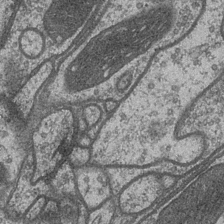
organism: Drosophila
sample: Optic medulla